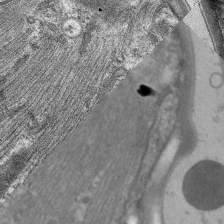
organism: C. elegans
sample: Pharynx